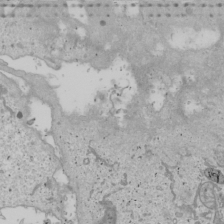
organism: Human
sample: Mitochondria in U2OS cells